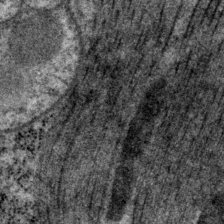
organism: P. pacificus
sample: Pharynx